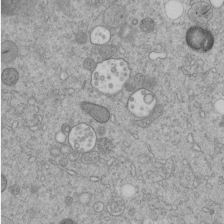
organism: C. elegans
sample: C. elegans embryo early stage